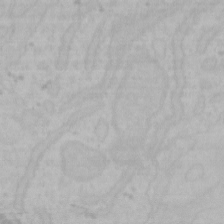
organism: Mouse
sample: Choroid plexus